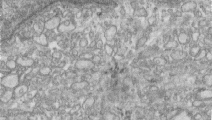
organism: Human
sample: Centriole in RPE cells